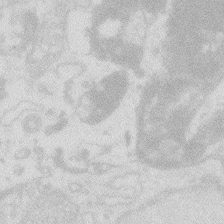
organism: Zebrafish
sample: Macrophage